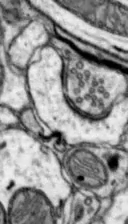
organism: Mouse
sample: Nucleus accumbens